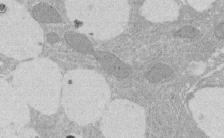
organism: Rat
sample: Salivary granule